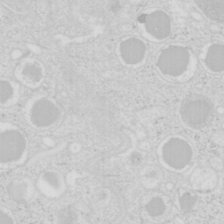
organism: Mouse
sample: Pancreas